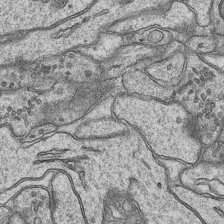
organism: Mouse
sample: CA1 Hippocampus